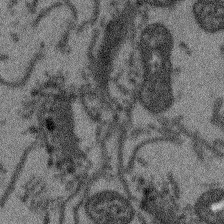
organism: Arabidopsis thaliana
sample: Root tip